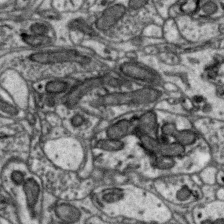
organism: Zebra finch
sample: Brain